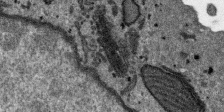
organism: Human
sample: Lung epithelial cells, uninfected (mock) control